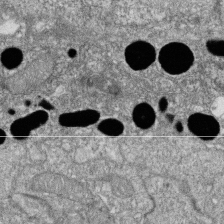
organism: Zebrafish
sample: Cilia; retinal pigment epithelium